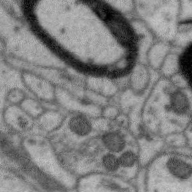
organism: Zebra finch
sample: Brain